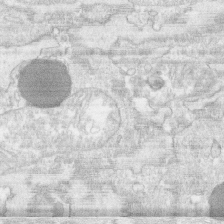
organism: Human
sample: CRL-1474